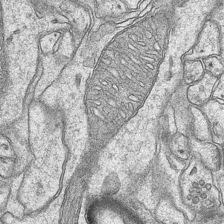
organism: Mouse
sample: CA1 Hippocampus